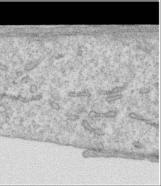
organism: Human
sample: Centriole in RPE cells